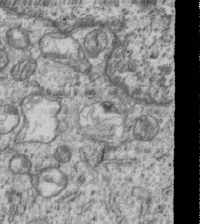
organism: Human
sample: MDA-MB-231 cells